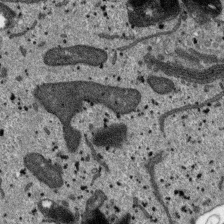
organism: Human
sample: Lung epithelial cells, uninfected (mock) control